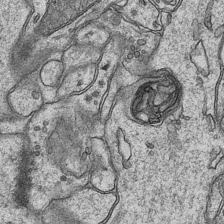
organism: Mouse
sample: CA1 Hippocampus